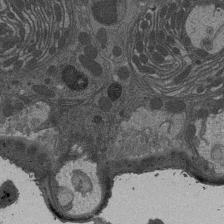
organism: Drosophila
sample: Antenna